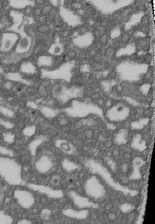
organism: Drosophila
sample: Nephrocyte